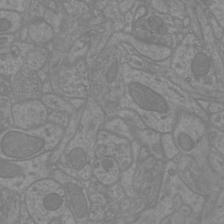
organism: Mouse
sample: Cortical neurons